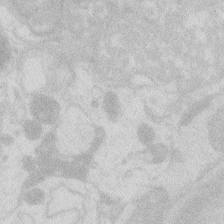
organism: Zebrafish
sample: Macrophage